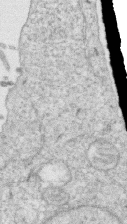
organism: Human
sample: HeLa cell HIV synapse